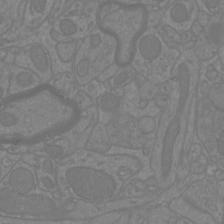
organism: Mouse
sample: Cortical neurons